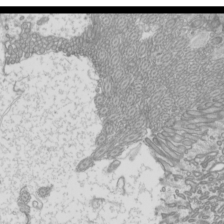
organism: Mouse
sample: Cilia; mouse epididymis